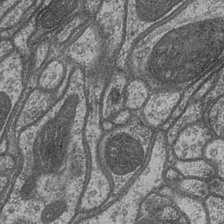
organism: Drosophila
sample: Optic medulla